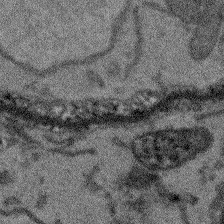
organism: Arabidopsis thaliana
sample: Root tip